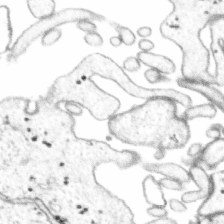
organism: Human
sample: HeLa cells